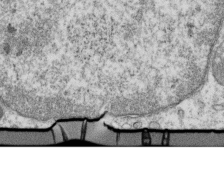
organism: Mouse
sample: Activated OT-1 CD8+ T cells